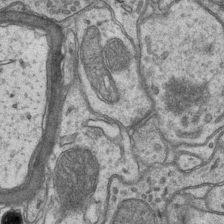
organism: Mouse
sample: CA1 Hippocampus